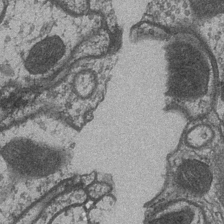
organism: Drosophila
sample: Optic medulla